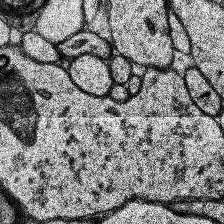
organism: Human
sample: Temporal Lobe